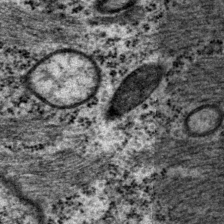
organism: P. pacificus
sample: Pharynx